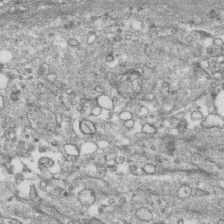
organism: Human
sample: CRL-1474